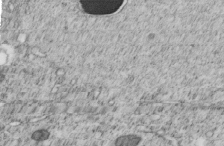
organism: C. elegans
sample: C. elegans embryo early stage